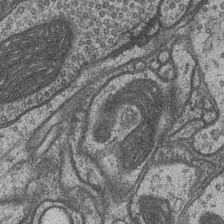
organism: Drosophila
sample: Optic medulla